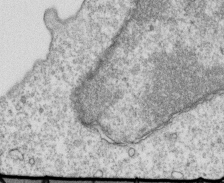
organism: Mouse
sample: Activated OT-1 CD8+ T cells